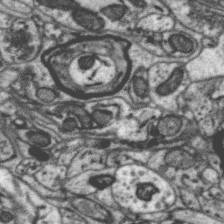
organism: Zebra finch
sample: Brain